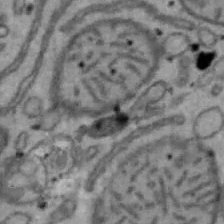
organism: Mouse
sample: Liver